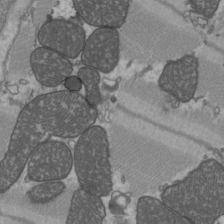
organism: C57BL Mouse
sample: Heart